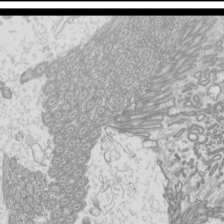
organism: Mouse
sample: Cilia; mouse epididymis